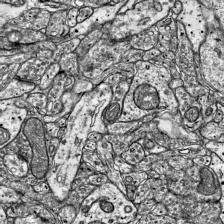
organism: Mouse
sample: Visual Cortex